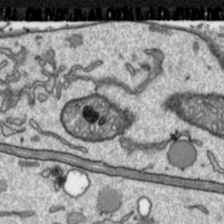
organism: Toxoplasma gondii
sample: Parasites in a vacuole inside a host cell